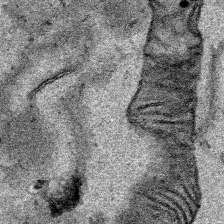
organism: Human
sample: Mitochondria in HCT116 cells